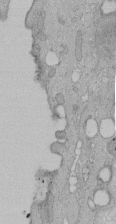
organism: Human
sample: Melanocyte Keratinocyte synapse skin construct